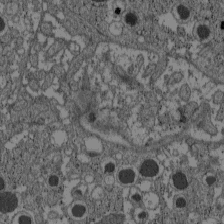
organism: C57BL Mouse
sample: Pancreatic islet